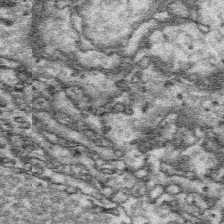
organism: Platynereis dumerilii